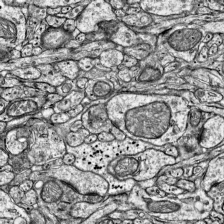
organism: Mouse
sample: Visual Cortex